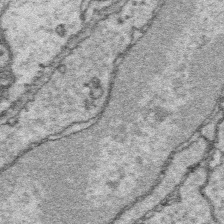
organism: Platynereis dumerilii